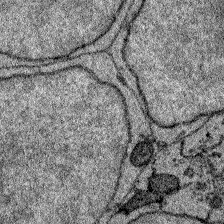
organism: Zebrafish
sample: Larval olfactory bulb